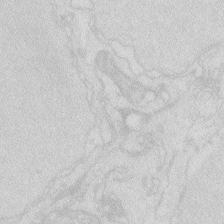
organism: Zebrafish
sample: Macrophage